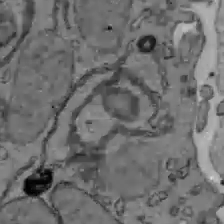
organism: C57BL Mouse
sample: Liver